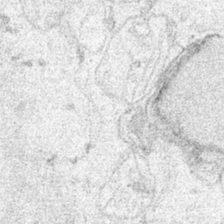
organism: Human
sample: Mitochondria in HCT116 cells